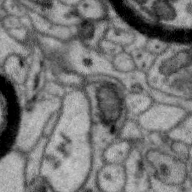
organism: Zebra finch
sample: Brain